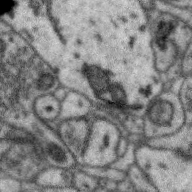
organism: Zebra finch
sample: Brain